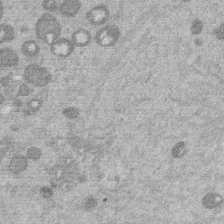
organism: Mouse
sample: Dividing mouse embryo 1 cell stage